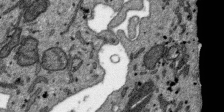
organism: Human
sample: Lung epithelial cells, uninfected (mock) control